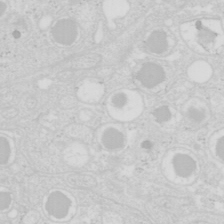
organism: Mouse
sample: Pancreas